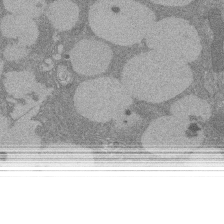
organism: Rat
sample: Salivary granule